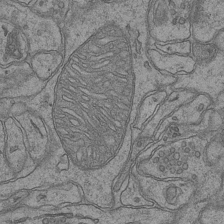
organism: Mouse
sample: CA1 Hippocampus